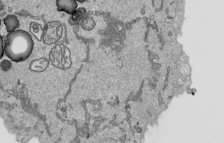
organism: Human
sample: Mitochondria in HCT116 cells